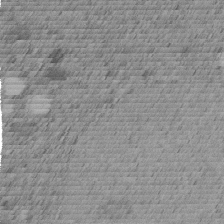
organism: C. elegans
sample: C. elegans embryo early stage